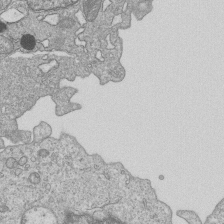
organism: Human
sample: MDA-MB-231 cells